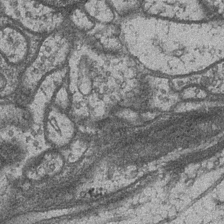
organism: Drosophila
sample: Optic medulla